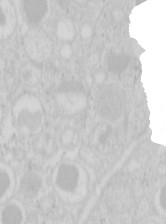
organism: Mouse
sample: Pancreas